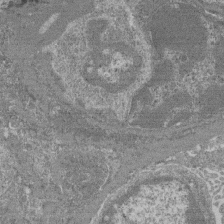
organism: Mouse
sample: Glomerulus